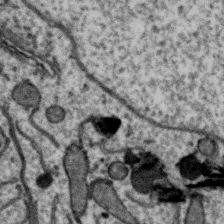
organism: Zebra finch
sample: Brain